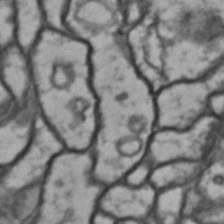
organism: Drosophila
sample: Brain